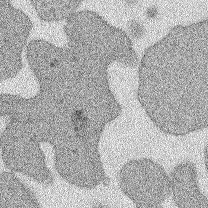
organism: Human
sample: HeLa cells